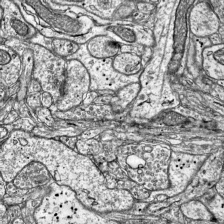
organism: Mouse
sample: Visual Cortex